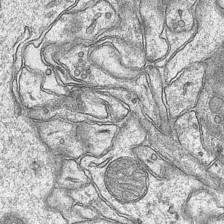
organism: Mouse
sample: CA1 Hippocampus